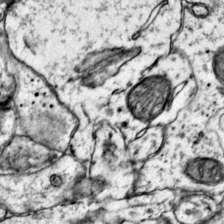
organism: Mouse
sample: Primary visual cortex